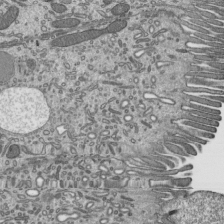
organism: Mouse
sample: Mouse epididymis efferent ductule cilia